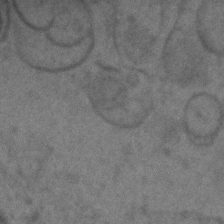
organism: C. elegans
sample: C. elegans embryo